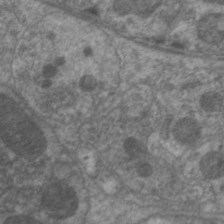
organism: C. elegans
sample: Pharynx